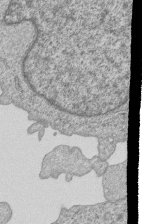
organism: Human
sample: MDA-MB-231 cells